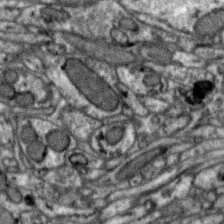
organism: Zebra finch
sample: Brain